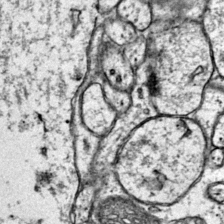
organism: Mouse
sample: Primary visual cortex